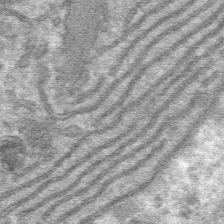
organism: Mouse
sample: Mouse hepatocytes